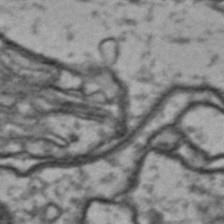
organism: Drosophila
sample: Brain